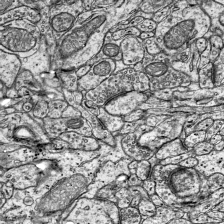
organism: Mouse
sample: Visual Cortex